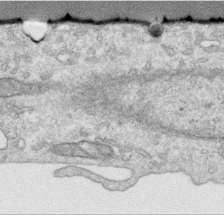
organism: Human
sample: Centriole in RPE cells